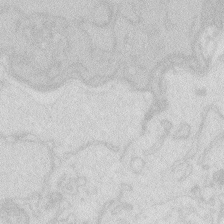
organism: Zebrafish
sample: Macrophage